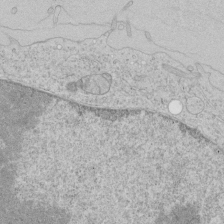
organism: Human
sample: Mitochondria in HCT116 cells